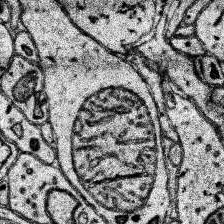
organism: Human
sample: Temporal Lobe